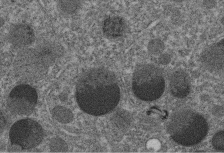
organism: C. elegans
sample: C. elegans embryo early stage